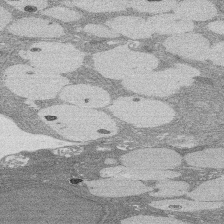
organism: Rat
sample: Salivary granule